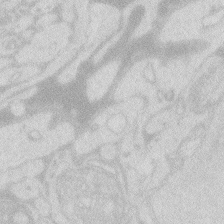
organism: Zebrafish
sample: Macrophage